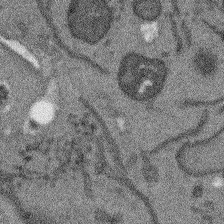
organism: Arabidopsis thaliana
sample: Root tip